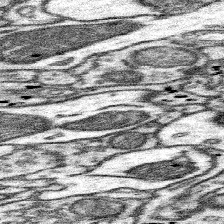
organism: Mouse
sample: Somatosensory cortex neuropil